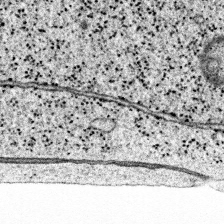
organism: Human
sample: HeLa cells